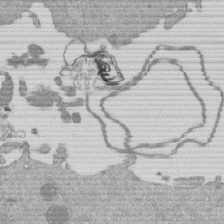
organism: Mouse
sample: Dividing mouse embryo 1 cell stage